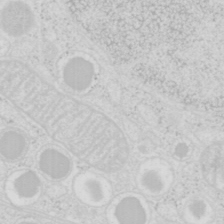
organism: Mouse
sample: Pancreas